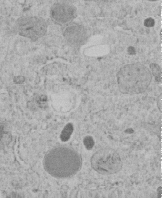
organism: C. elegans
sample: C. elegans embryo early stage